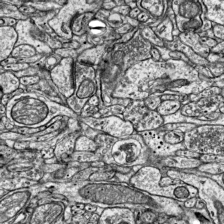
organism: Mouse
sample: Visual Cortex